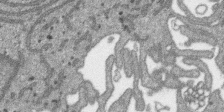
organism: Human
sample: Lung epithelial cells infected with SARS-CoV-2